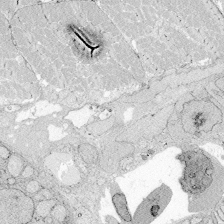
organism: Zebrafish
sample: Whole-Brain